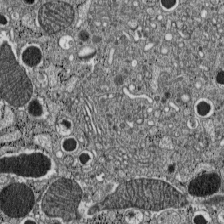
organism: C57BL Mouse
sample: Pancreatic islet